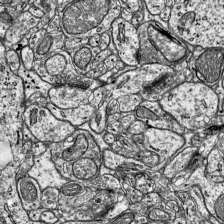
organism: Mouse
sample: Visual Cortex